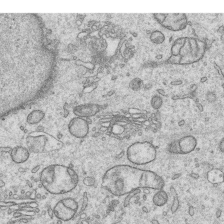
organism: Human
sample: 1205lu cells